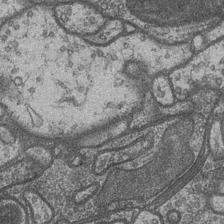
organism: Drosophila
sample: Optic medulla